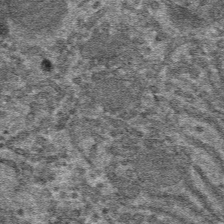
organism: Mouse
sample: Mouse hepatocytes